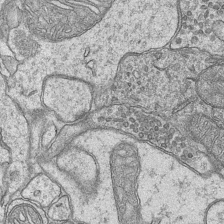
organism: Mouse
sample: CA1 Hippocampus